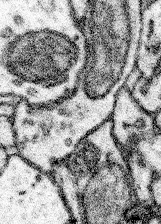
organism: Mouse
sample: Somatosensory cortex neuropil